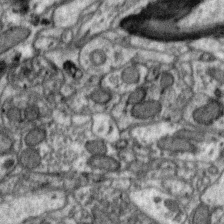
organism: Zebra finch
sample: Brain